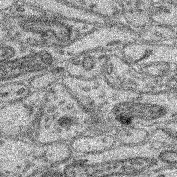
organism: Mouse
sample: Retina